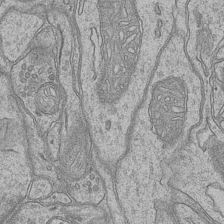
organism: Mouse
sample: CA1 Hippocampus